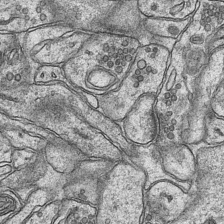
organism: Mouse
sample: CA1 Hippocampus